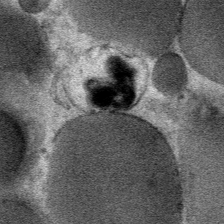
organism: Mouse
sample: Mouse Salivary gland